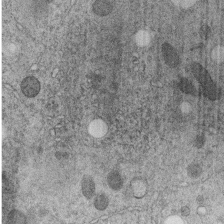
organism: C. elegans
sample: C. elegans embryo early stage